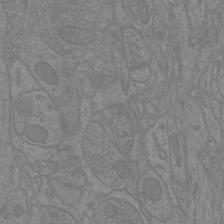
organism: Mouse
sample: Cortical neurons